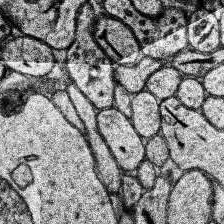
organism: Human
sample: Temporal Lobe